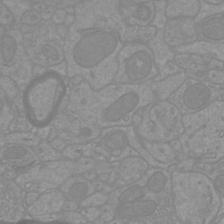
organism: Mouse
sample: Cortical neurons